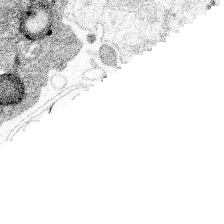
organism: Spongilla lacustris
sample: Multiple